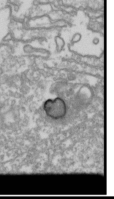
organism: Drosophila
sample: Cell division; meiosis; drosophila spermatocytes